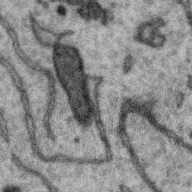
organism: Zebra finch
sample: Brain